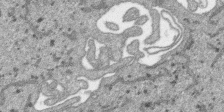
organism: Human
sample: Lung epithelial cells infected with SARS-CoV-2